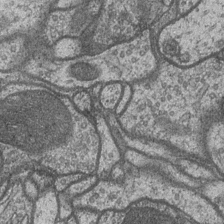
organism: Drosophila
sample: Optic medulla